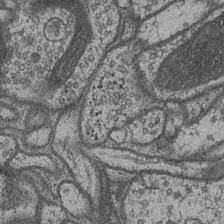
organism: Drosophila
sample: Optic medulla